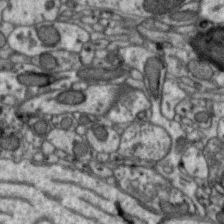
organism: Zebra finch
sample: Brain